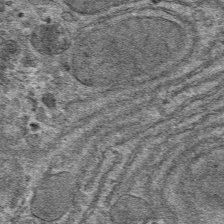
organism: Mouse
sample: Mouse hepatocytes